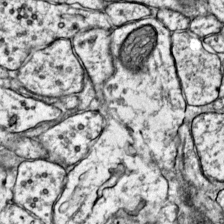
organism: Mouse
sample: Primary visual cortex